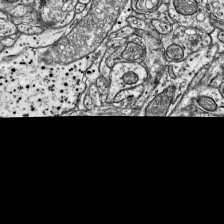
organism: Mouse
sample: Visual Cortex